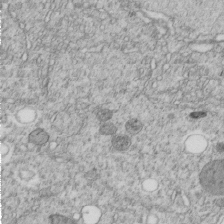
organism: C. elegans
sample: C. elegans embryo early stage